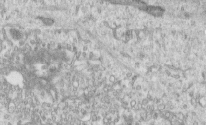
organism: Human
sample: Centriole in RPE cells